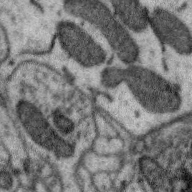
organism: Zebra finch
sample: Brain